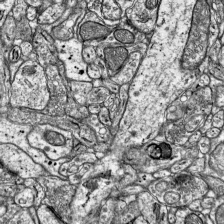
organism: Mouse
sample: Visual Cortex